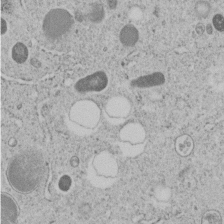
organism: C. elegans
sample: C. elegans embryo early stage